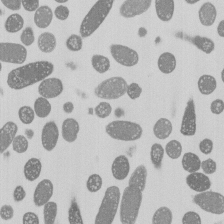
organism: E. coli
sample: Bacterial nucleoid